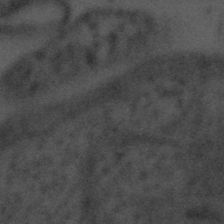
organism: Tuwongella immobilis